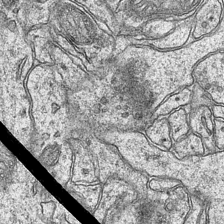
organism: Mouse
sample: CA1 Hippocampus